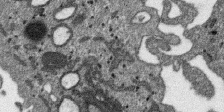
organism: Human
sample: Lung epithelial cells infected with SARS-CoV-2